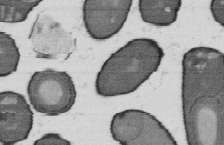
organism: B. subtilis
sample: Bacterial spore